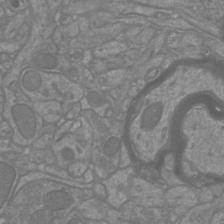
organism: Mouse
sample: Cortical neurons